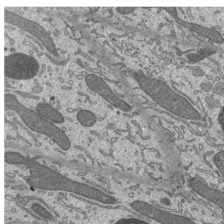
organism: Mouse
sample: Mouse epididymis efferent ductule cilia